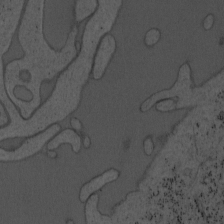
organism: Mouse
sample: OT-I killer T cells with ID8 ovarian cancer cells